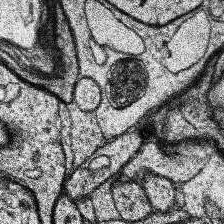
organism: Human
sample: Temporal Lobe